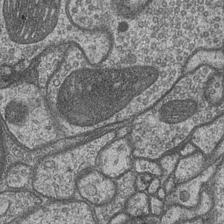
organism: Drosophila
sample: Optic medulla